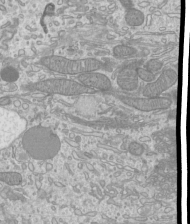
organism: Mouse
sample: Cilia; mouse epididymis